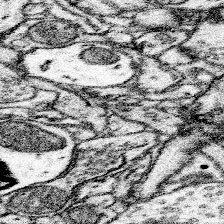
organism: Mouse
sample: Somatosensory cortex neuropil